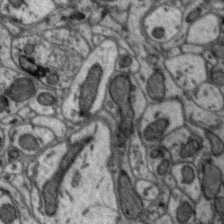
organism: Zebra finch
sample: Brain